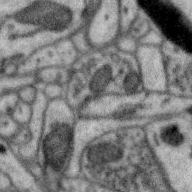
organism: Zebra finch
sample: Brain